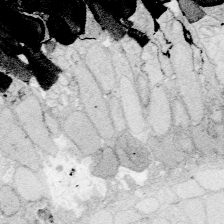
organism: Zebrafish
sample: Whole-Brain